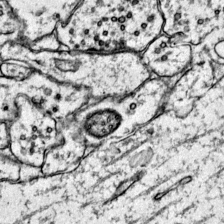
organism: Mouse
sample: Primary visual cortex